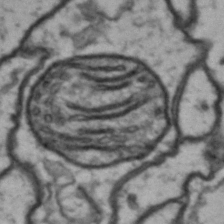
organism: Drosophila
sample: Brain